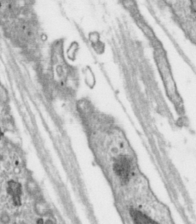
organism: Toxoplasma gondii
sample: Parasites in a vacuole inside a host cell